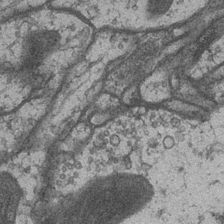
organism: Drosophila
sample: Optic medulla